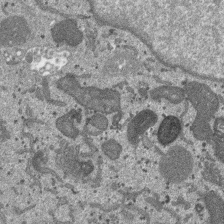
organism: Human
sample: Lung epithelial cells infected with SARS-CoV-2